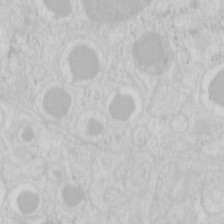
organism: Mouse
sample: Pancreas